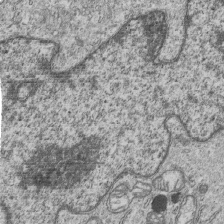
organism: Human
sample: MDA-MB-231 cells